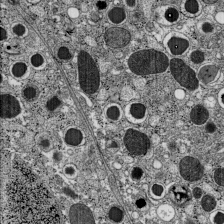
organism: C57BL Mouse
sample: Pancreatic islet